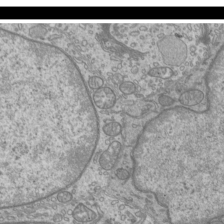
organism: Mouse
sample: Cilia; mouse epididymis